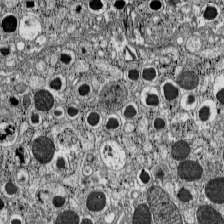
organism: C57BL Mouse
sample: Pancreatic islet